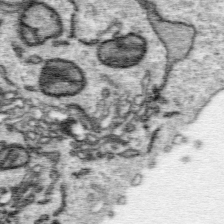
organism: Human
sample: HeLa cells